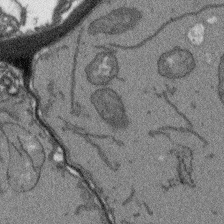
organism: Arabidopsis thaliana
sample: Root tip